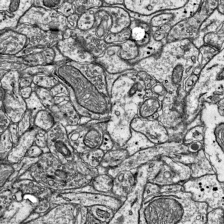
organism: Mouse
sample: Visual Cortex